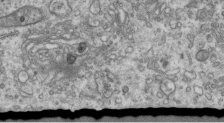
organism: Human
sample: Centriole in RPE cells